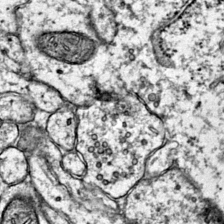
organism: Mouse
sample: Primary visual cortex